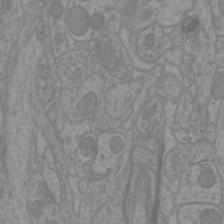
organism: Mouse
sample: Cortical neurons